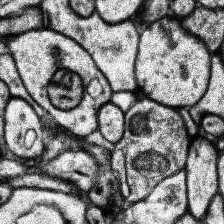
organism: Human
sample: Temporal Lobe